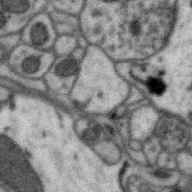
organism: Zebra finch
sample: Brain